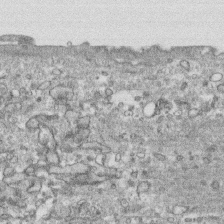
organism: Human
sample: CRL-1474